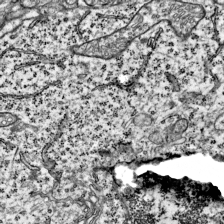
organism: Mouse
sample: Visual Cortex